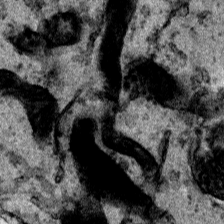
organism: Human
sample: Mitochondria in HCT116 cells